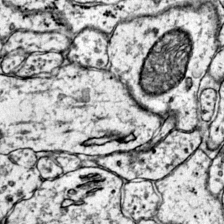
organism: Mouse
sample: Primary visual cortex